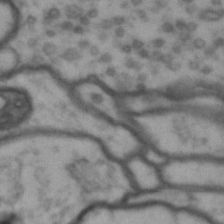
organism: Drosophila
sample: Brain